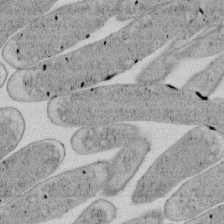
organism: E. coli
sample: Bacterial nucleoid